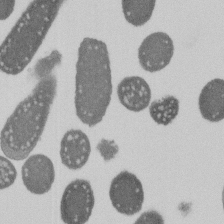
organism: E. coli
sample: Bacterial nucleoid